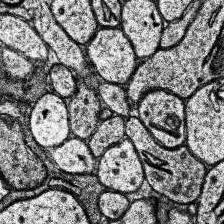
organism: Human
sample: Temporal Lobe